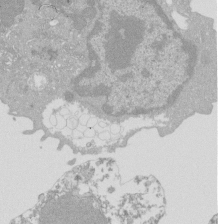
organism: Mouse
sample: Activated Pmel transgenic CD8+ T Cells